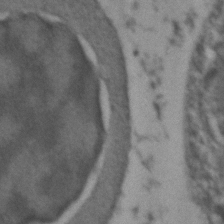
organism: Zebrafish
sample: Zebrafish embryo